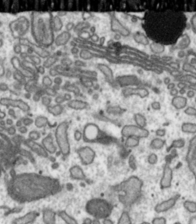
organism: Toxoplasma gondii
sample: Parasites in a vacuole inside a host cell